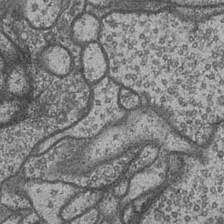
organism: Drosophila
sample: Optic medulla